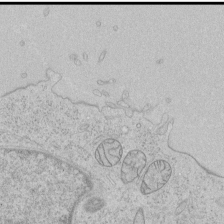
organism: Human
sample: Mitochondria in HCT116 cells